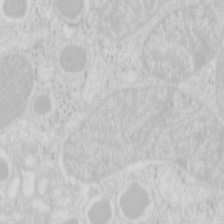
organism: Mouse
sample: Pancreas